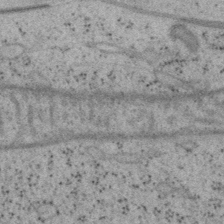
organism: Human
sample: HeLa cells